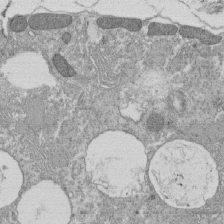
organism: Tetrahymena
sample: Cilia in tetrahymena